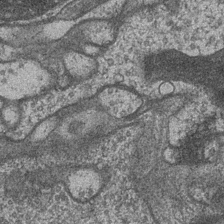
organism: Drosophila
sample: Optic medulla